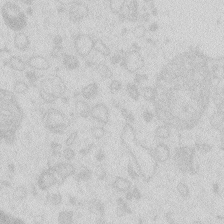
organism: Zebrafish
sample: Macrophage